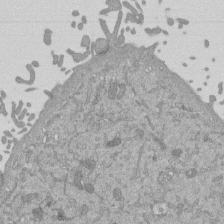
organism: Mouse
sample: ED-1 cell nuclei; centrioles